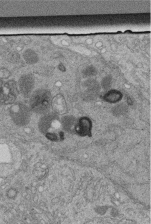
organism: Human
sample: Retinal organoid Rod and Cone cells